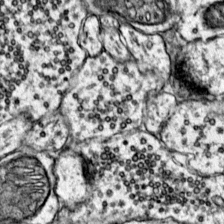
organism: Mouse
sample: Primary visual cortex